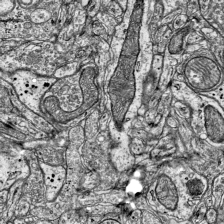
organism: Mouse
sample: Visual Cortex